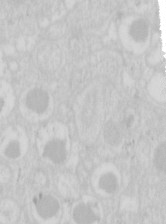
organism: Mouse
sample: Pancreas